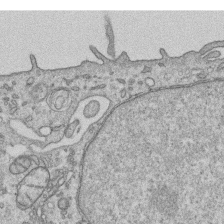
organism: Human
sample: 1205lu cells